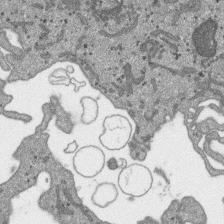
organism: Human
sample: Lung epithelial cells infected with SARS-CoV-2